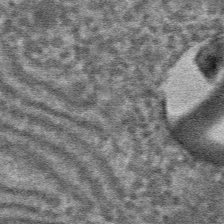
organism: Mouse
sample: Mouse hepatocytes